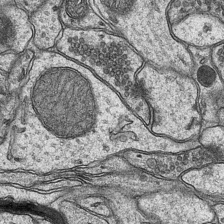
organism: Mouse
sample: CA1 Hippocampus